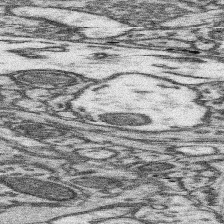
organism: Mouse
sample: Somatosensory cortex neuropil